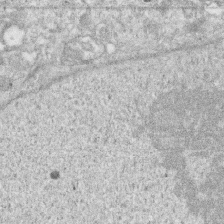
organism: Human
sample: HeLa cell HIV synapse